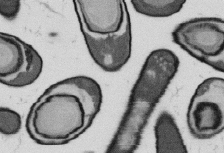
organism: B. subtilis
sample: Bacterial spore